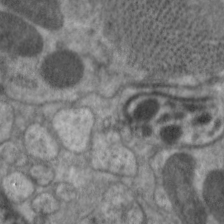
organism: C. elegans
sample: Pharynx